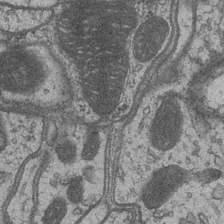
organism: Drosophila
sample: Optic medulla